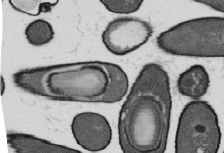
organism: B. subtilis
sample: Bacterial spore